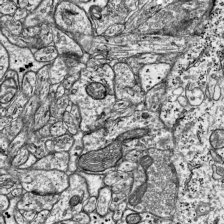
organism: Mouse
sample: Visual Cortex